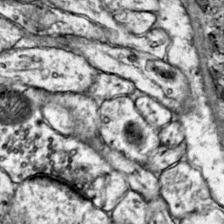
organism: Mouse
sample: Primary visual cortex